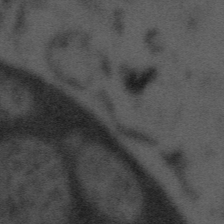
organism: Tuwongella immobilis